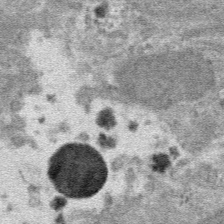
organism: Mouse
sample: Mouse hepatocytes